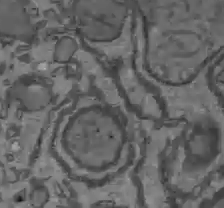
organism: C57BL Mouse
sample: Liver